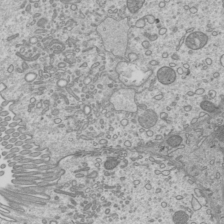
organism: Mouse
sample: Cilia; mouse epididymis